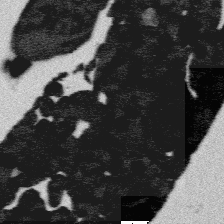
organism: Platynereis dumerilii